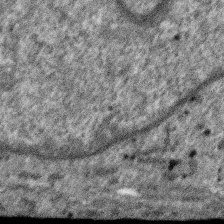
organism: Human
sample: Lung epithelial cells infected with SARS-CoV-2